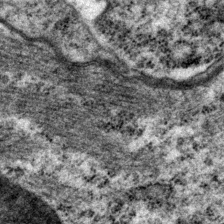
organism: P. pacificus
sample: Pharynx